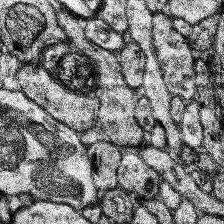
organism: Human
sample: Temporal Lobe